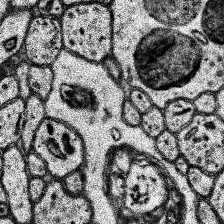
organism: Human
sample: Temporal Lobe